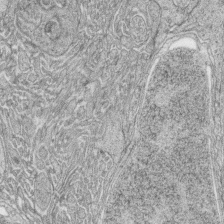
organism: Zebrafish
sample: synaptic ribbons in rod cells and cone cells